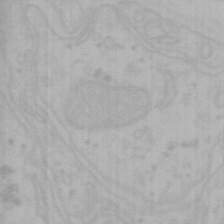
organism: Mouse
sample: Choroid plexus